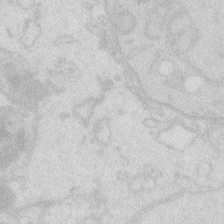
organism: Zebrafish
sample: Macrophage